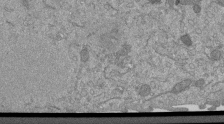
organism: Mouse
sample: ED-1 cell nuclei; centrioles